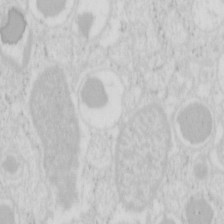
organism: Mouse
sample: Pancreas